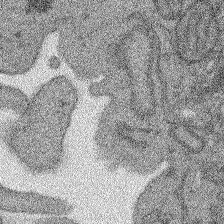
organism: Human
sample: HeLa cells